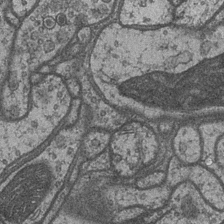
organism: Drosophila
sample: Optic medulla